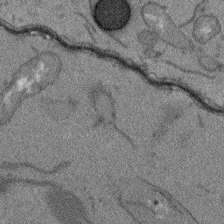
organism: Arabidopsis thaliana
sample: Root tip